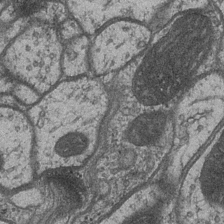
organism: Drosophila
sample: Optic medulla